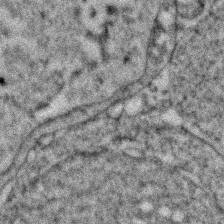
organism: Zebrafish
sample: Zebrafish embryo